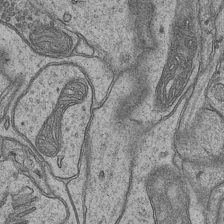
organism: Mouse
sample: CA1 Hippocampus